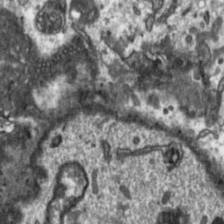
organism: Toxoplasma gondii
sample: Parasites in a vacuole inside a host cell